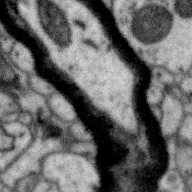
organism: Zebra finch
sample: Brain